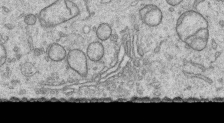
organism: Human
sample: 1205lu cells